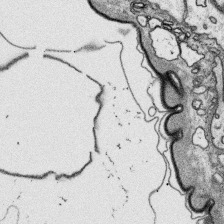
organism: Platynereis dumerilii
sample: Parapodia